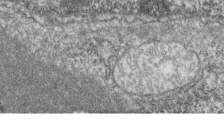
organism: Zebrafish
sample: Cilia; retinal pigment epithelium